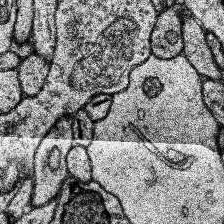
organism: Human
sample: Temporal Lobe